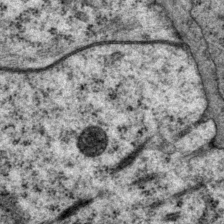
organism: P. pacificus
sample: Pharynx